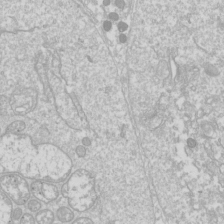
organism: Drosophila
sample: Cell division; meiosis; drosophila spermatocytes